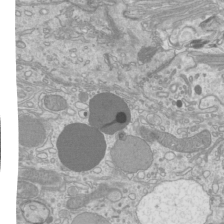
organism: Mouse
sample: Cilia; mouse epididymis